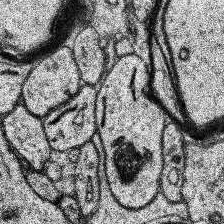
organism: Human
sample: Temporal Lobe